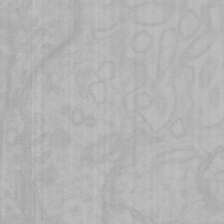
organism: Mouse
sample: Choroid plexus